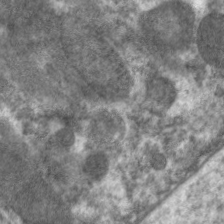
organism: C. elegans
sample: Pharynx